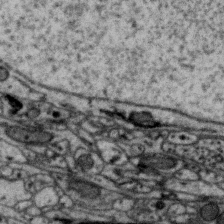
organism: Zebra finch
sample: Brain